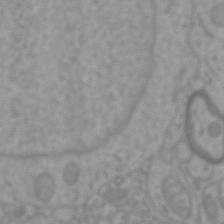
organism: Mouse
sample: Cortical neurons